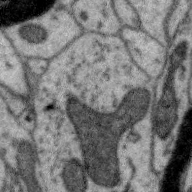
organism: Zebra finch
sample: Brain